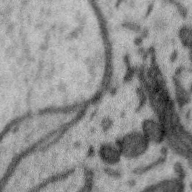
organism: Zebra finch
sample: Brain